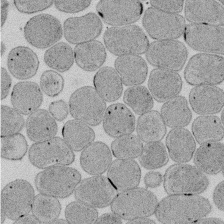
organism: E. coli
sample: Bacterial nucleoid